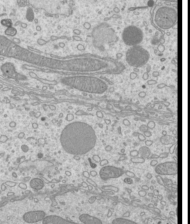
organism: Mouse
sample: Cilia; mouse epididymis